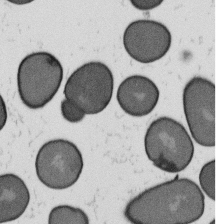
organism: B. subtilis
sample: Bacterial spore